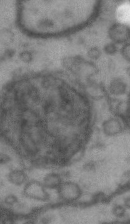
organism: Drosophila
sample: Brain